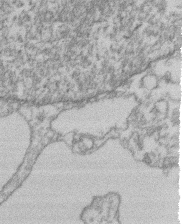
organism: Mouse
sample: T cell stromal cell synapse